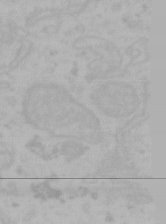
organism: Mouse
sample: Choroid plexus